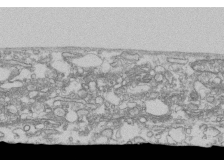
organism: Human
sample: Fibroblast cells